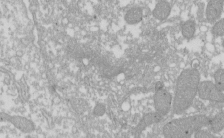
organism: Xenopus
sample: Cilia; centrioles in frog embryo cells